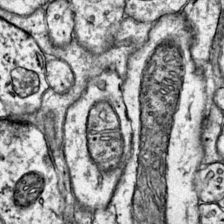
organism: Mouse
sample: Primary visual cortex